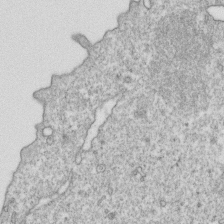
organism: Mouse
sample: Activated OT-1 CD8+ T cells